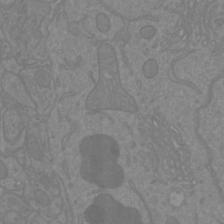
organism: Mouse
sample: Cortical neurons